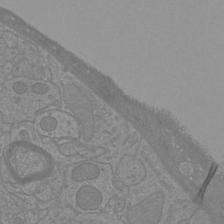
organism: Mouse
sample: Cortical neurons